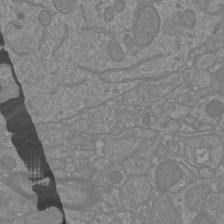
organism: Mouse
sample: Cortical neurons